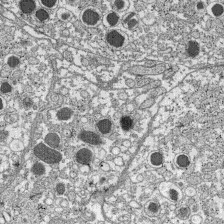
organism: C57BL Mouse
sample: Pancreatic islet